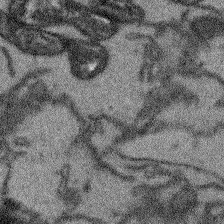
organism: Arabidopsis thaliana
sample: Root tip